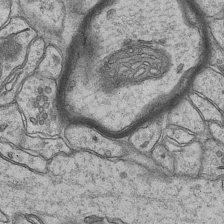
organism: Mouse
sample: CA1 Hippocampus